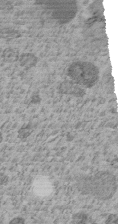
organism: C. elegans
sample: C. elegans embryo early stage